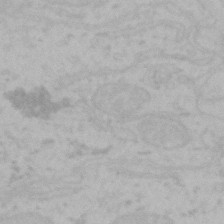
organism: Mouse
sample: Choroid plexus